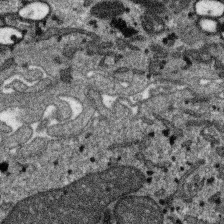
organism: Human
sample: Lung epithelial cells infected with SARS-CoV-2